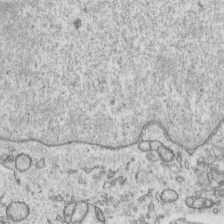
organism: Human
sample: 1205lu cells